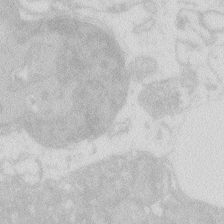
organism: Zebrafish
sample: Macrophage